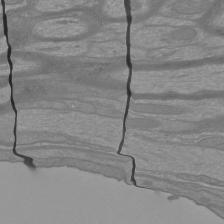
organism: Mouse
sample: Cortical neurons